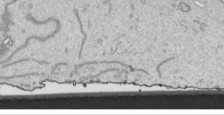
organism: Human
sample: Mitochondria in HCT116 cells